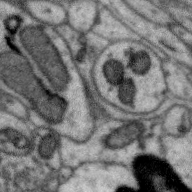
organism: Zebra finch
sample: Brain